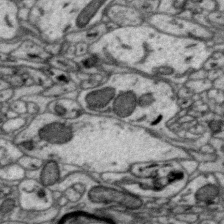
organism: Zebra finch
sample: Brain